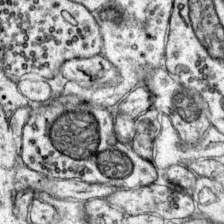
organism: Mouse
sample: Primary visual cortex